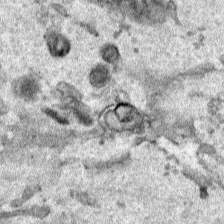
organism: Human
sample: Mitochondria in HCT116 cells